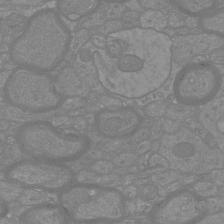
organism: Mouse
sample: Cortical neurons